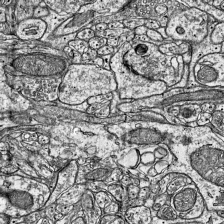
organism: Mouse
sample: Visual Cortex